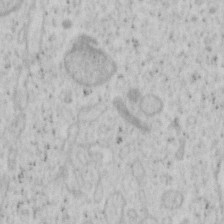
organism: Human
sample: HeLa cells